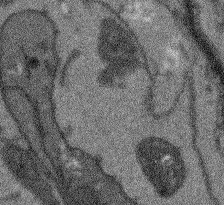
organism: Arabidopsis thaliana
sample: Root tip